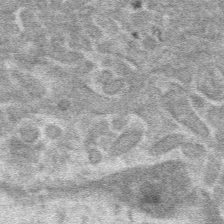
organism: Mouse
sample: Mouse hepatocytes